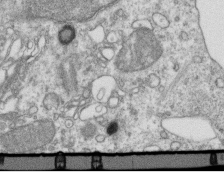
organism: Mouse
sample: Activated OT-1 CD8+ T cells